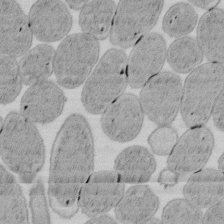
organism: E. coli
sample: Bacterial nucleoid